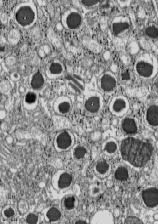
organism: C57BL Mouse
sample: Pancreatic islet